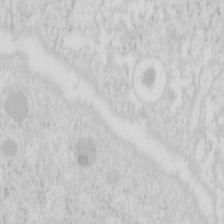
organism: Mouse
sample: Pancreas